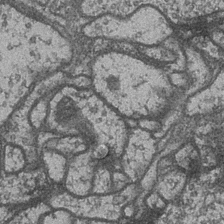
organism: Drosophila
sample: Optic medulla